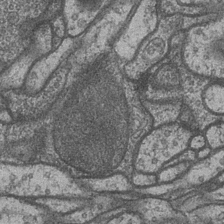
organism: Drosophila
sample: Optic medulla